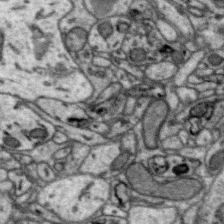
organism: Zebra finch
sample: Brain